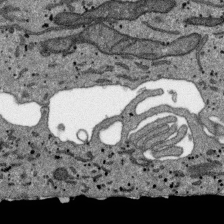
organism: Human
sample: Lung epithelial cells, uninfected (mock) control